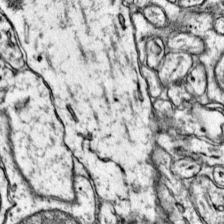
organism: Mouse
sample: Primary visual cortex